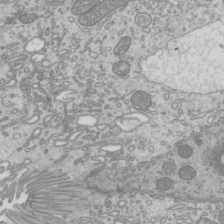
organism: Mouse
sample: Cilia; mouse epididymis